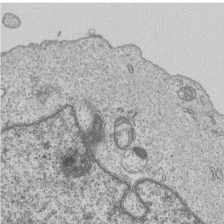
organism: Human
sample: MDA-MB-231 cells